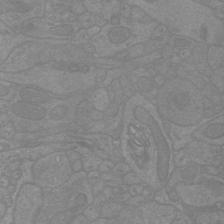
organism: Mouse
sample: Cortical neurons